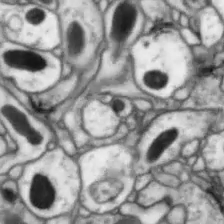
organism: Drosophila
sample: Optic lobe